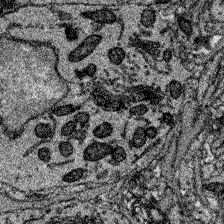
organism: Zebrafish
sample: Larval olfactory bulb